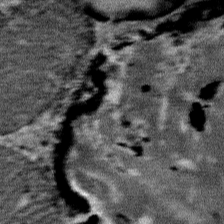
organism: Mouse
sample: Mouse Salivary gland